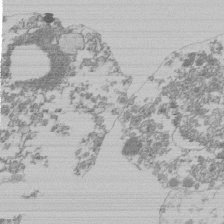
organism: Mouse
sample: Activated Pmel transgenic CD8+ T Cells